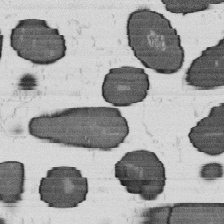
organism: B. subtilis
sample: Bacterial spore